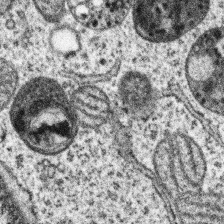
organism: Human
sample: HeLa cells